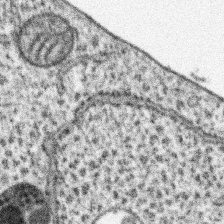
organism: Human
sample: HeLa cells